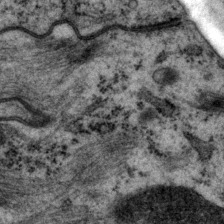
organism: P. pacificus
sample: Pharynx